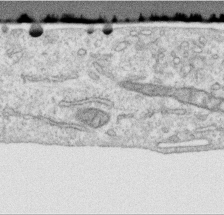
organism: Human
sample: Centriole in RPE cells